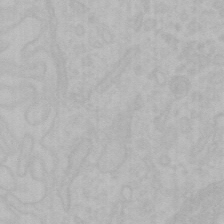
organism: Mouse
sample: Choroid plexus